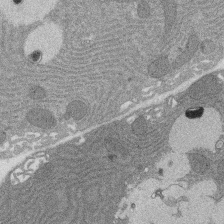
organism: Rat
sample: Salivary granule